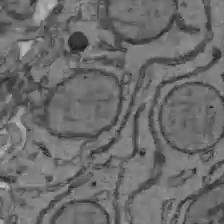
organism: C57BL Mouse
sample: Liver